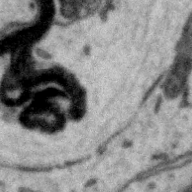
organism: Zebra finch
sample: Brain